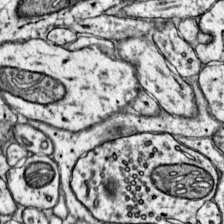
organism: Mouse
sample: Primary visual cortex